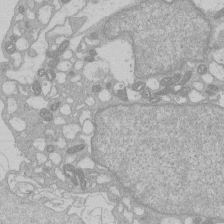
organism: Human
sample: Macrophage cells